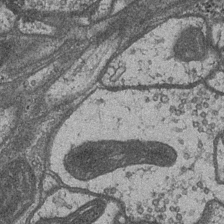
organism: Drosophila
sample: Optic medulla